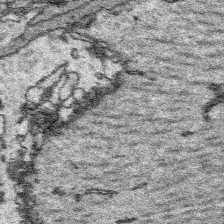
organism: Platynereis dumerilii